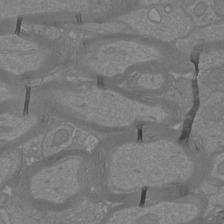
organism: Mouse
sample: Cortical neurons